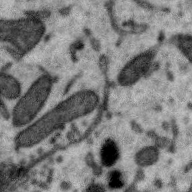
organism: Zebra finch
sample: Brain